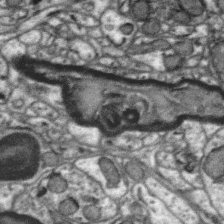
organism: Zebra finch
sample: Brain